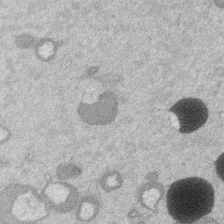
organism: Mouse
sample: Dividing mouse embryo 1 cell stage